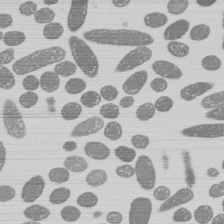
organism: E. coli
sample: Bacterial nucleoid